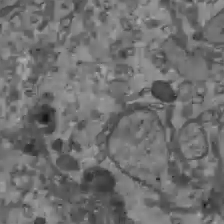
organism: C57BL Mouse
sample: Liver